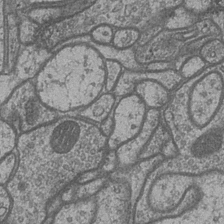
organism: Drosophila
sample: Optic medulla